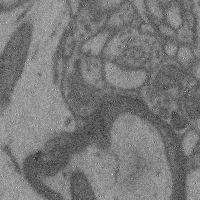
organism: Mouse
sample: Cerebral cortex